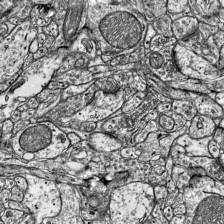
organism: Mouse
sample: Visual Cortex